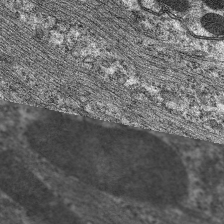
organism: C. elegans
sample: Pharynx